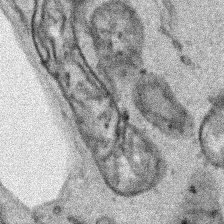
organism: Human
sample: Mitochondria in HCT116 cells